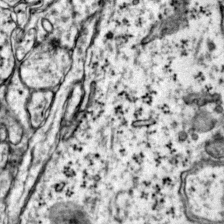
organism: Mouse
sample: Primary visual cortex